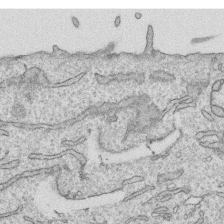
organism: Human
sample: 1205lu cells